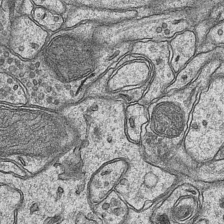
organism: Mouse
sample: CA1 Hippocampus